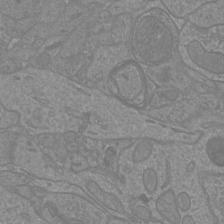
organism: Mouse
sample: Cortical neurons